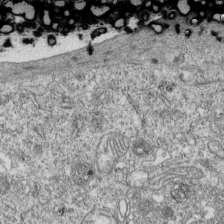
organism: Human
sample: HeLa cell HIV synapse